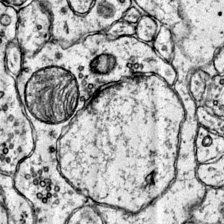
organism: Mouse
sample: Primary visual cortex